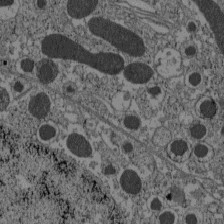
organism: C57BL Mouse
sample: Pancreatic islet